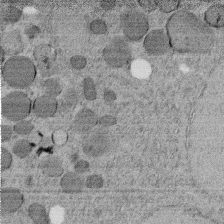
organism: C. elegans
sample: C. elegans embryo early stage